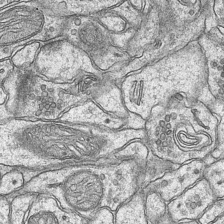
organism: Mouse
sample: CA1 Hippocampus